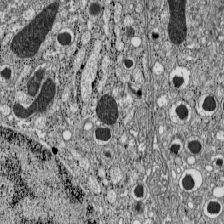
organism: C57BL Mouse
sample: Pancreatic islet